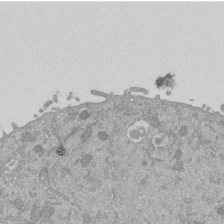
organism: Mouse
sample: ED-1 cell nuclei; centrioles